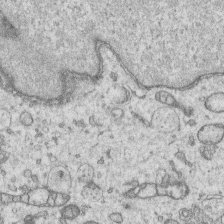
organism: Human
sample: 1205lu cells